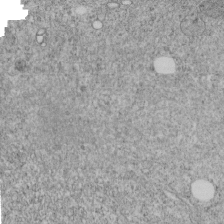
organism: C. elegans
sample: C. elegans embryo early stage